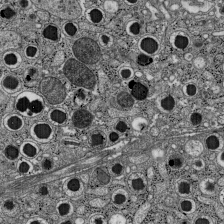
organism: C57BL Mouse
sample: Pancreatic islet